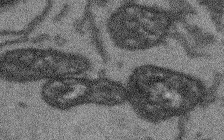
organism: Arabidopsis thaliana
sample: Root tip